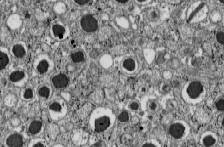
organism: C57BL Mouse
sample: Pancreatic islet